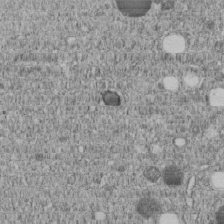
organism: C. elegans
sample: C. elegans embryo early stage